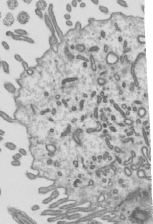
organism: Mouse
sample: Mouse epididymis efferent ductule cilia